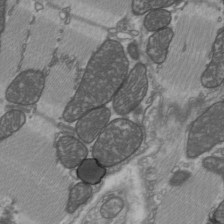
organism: C57BL Mouse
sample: Heart